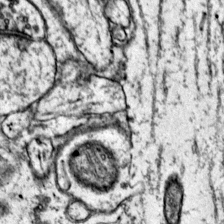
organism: Mouse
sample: Primary visual cortex